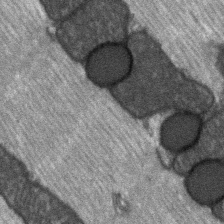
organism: C57BL Mouse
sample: Soleus